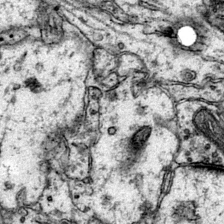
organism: Mouse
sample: Primary visual cortex